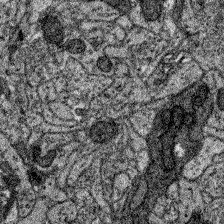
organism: Zebrafish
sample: Larval olfactory bulb